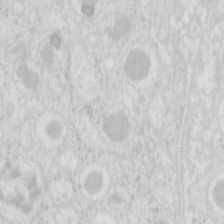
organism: Mouse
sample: Pancreas